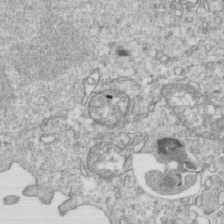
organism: Mouse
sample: Activated OT-1 CD8+ T cells